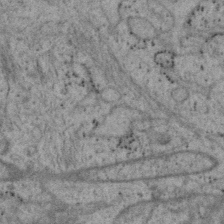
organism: Human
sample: HeLa cells